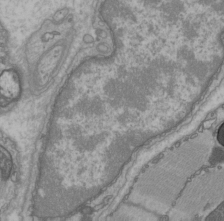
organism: C57BL Mouse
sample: Heart